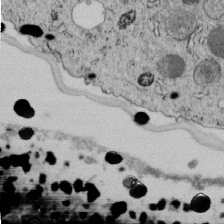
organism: C. elegans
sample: C. elegans embryo early stage